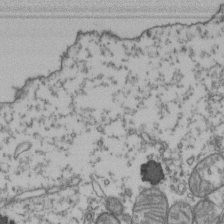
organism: Human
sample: Activated Jurkat CD4+ T cells